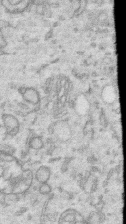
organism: Human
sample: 1205lu cells